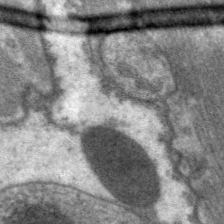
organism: C. elegans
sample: Pharynx